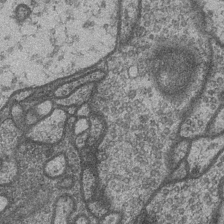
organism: Drosophila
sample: Optic medulla